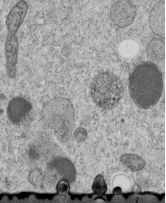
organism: C. elegans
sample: C. elegans embryo early stage